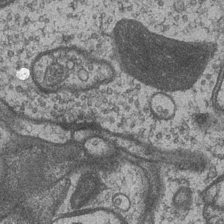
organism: Drosophila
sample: Optic medulla